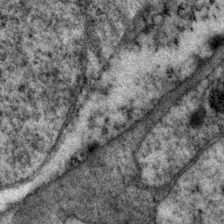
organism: P. pacificus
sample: Pharynx